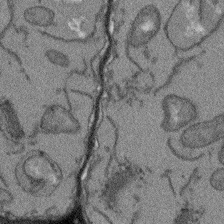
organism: Arabidopsis thaliana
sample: Root tip